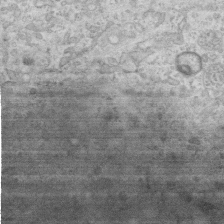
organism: Mouse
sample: Centriole in ependymal cells